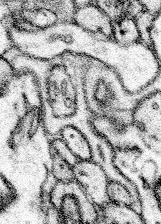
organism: Mouse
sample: Somatosensory cortex neuropil